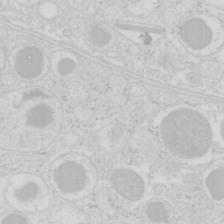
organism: Mouse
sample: Pancreas